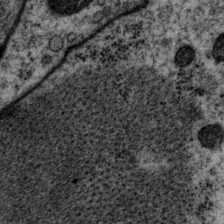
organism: P. pacificus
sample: Pharynx